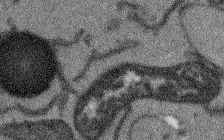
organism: Arabidopsis thaliana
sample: Root tip